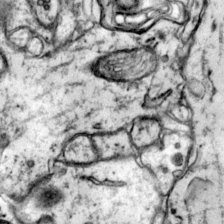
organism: Mouse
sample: Primary visual cortex